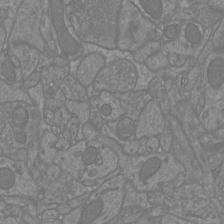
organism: Mouse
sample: Cortical neurons